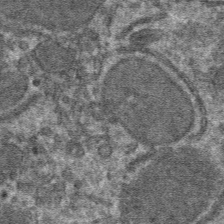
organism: Mouse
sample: Mouse hepatocytes